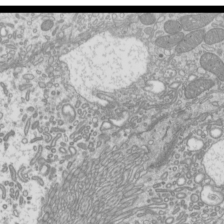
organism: Mouse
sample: Cilia; mouse epididymis